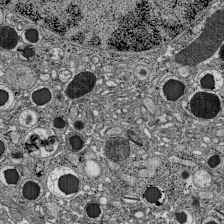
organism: C57BL Mouse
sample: Pancreatic islet